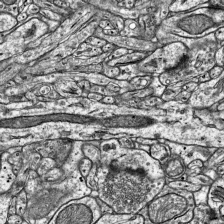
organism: Mouse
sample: Visual Cortex